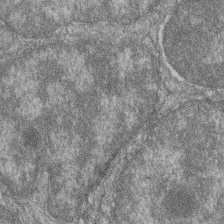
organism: Zebrafish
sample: Cilia; retinal pigment epithelium